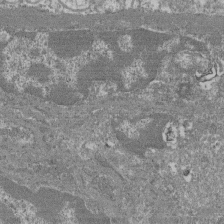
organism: Mouse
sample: Glomerulus